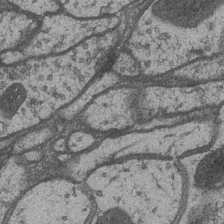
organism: Drosophila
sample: Optic medulla